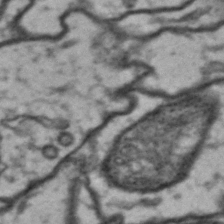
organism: Drosophila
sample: Brain